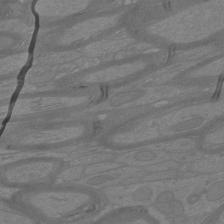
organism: Mouse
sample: Cortical neurons